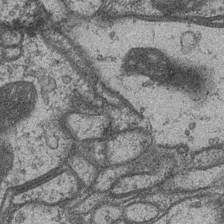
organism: Drosophila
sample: Optic medulla